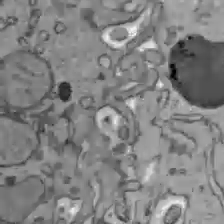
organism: C57BL Mouse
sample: Liver